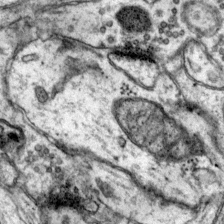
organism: Mouse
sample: Primary visual cortex